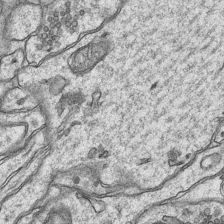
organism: Mouse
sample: CA1 Hippocampus